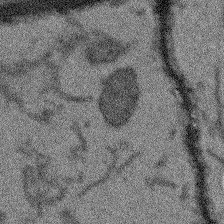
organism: Arabidopsis thaliana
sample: Root tip